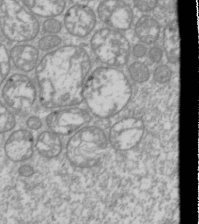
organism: Drosophila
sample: Cell division; meiosis; drosophila spermatocytes